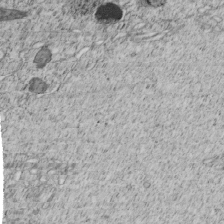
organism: C. elegans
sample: C. elegans embryo early stage